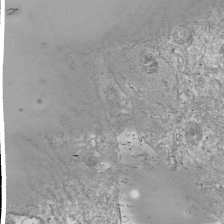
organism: Drosophila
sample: Cell division; meiosis; drosophila spermatocytes